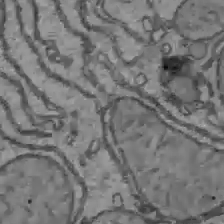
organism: C57BL Mouse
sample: Liver